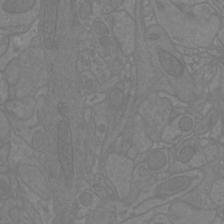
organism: Mouse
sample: Cortical neurons